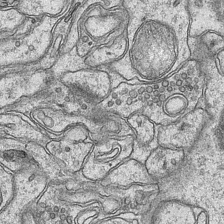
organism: Mouse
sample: CA1 Hippocampus